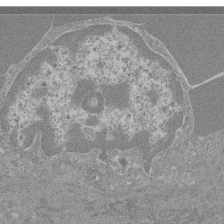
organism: Mouse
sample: Glomerulus